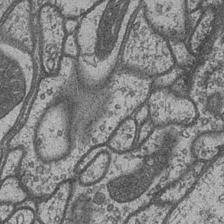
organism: Drosophila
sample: Optic medulla